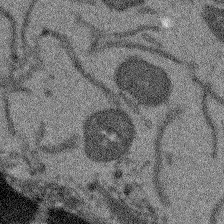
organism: Arabidopsis thaliana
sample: Root tip